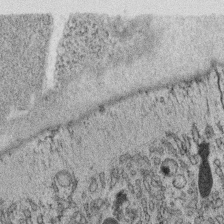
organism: C. elegans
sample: C. elegans oocyte; sperm cells